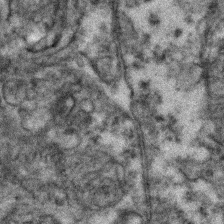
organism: Zebrafish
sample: Zebrafish embryo